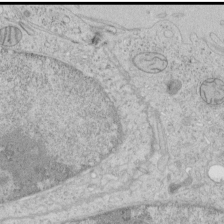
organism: Human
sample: Mitochondria in HCT116 cells